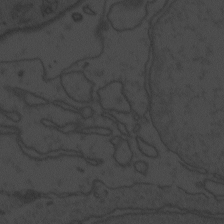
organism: Zebrafish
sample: Macrophage infected with Toxoplasma gondii